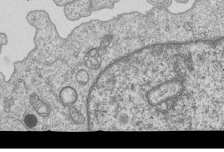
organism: Human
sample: MDA-MB-231 cells